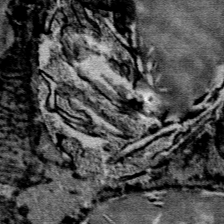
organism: Mouse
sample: Mouse Salivary gland